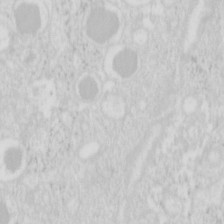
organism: Mouse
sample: Pancreas